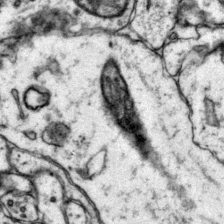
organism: Mouse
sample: Primary visual cortex